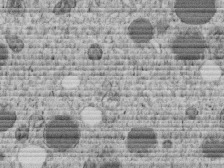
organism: C. elegans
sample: C. elegans embryo early stage